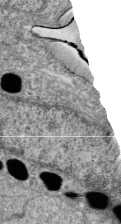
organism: Zebrafish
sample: Cilia; retinal pigment epithelium